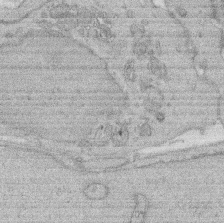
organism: Rat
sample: Salivary granule